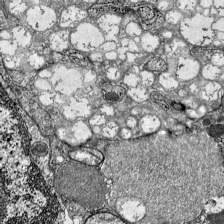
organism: Mouse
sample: Visual Cortex